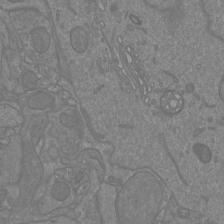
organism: Mouse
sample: Cortical neurons